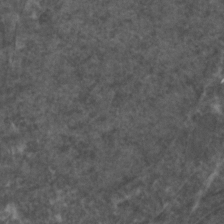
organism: Zebrafish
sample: Zebrafish embryo